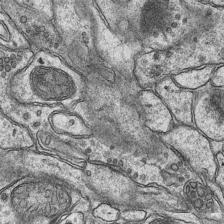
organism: Mouse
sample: CA1 Hippocampus